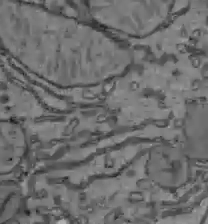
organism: C57BL Mouse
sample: Liver